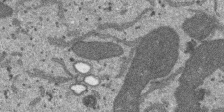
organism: Human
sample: Lung epithelial cells infected with SARS-CoV-2